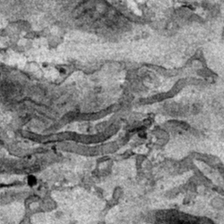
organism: Human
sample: Mitochondria in HCT116 cells